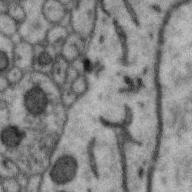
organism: Zebra finch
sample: Brain